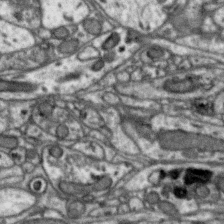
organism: Zebra finch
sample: Brain